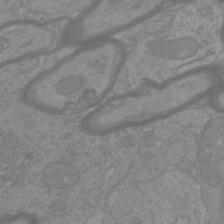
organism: Mouse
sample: Cortical neurons